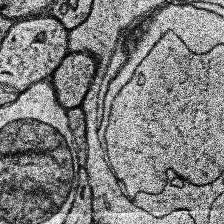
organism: Human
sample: Temporal Lobe